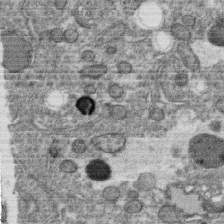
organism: C. elegans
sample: C. elegans oocyte; sperm cells